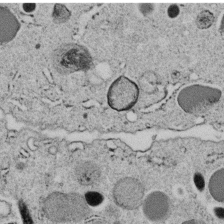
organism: C. elegans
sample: C. elegans embryo early stage